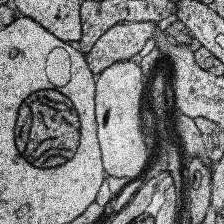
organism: Human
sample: Temporal Lobe